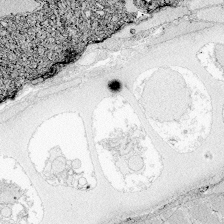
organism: Zebrafish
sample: Whole-Brain